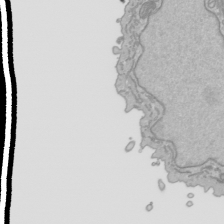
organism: Human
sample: Mitochondria in HCT116 cells